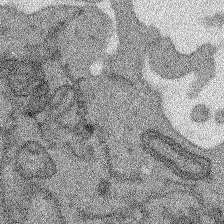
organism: Human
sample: HeLa cells